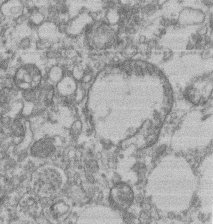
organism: Mouse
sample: T cell stromal cell synapse